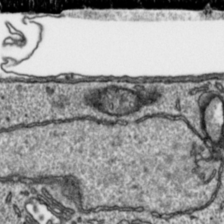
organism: Toxoplasma gondii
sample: Parasites in a vacuole inside a host cell